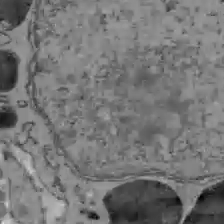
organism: C57BL Mouse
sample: Liver